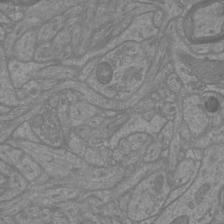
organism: Mouse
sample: Cortical neurons